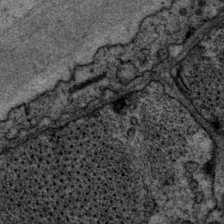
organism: P. pacificus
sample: Pharynx